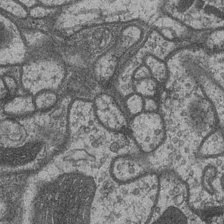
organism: Drosophila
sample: Optic medulla